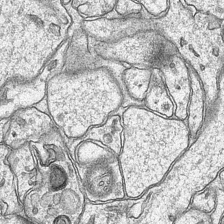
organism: Mouse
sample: CA1 Hippocampus